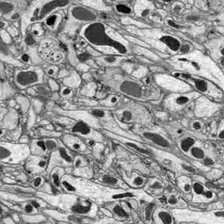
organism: Drosophila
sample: Optic lobe